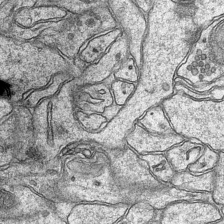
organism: Mouse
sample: CA1 Hippocampus